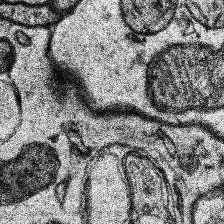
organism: Human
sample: Temporal Lobe